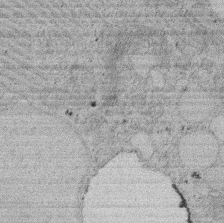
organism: Rat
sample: Salivary granule